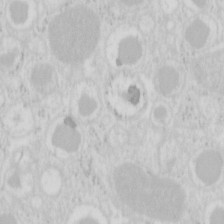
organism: Mouse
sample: Pancreas